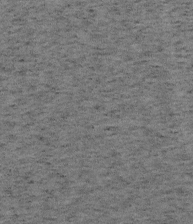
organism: Mouse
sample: OT-I killer T cells with ID8 ovarian cancer cells